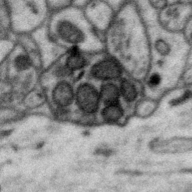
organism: Zebra finch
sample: Brain